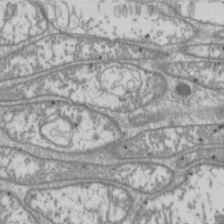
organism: Drosophila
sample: Cell division; meiosis; drosophila spermatocytes